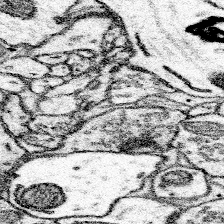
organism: Mouse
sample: Somatosensory cortex neuropil